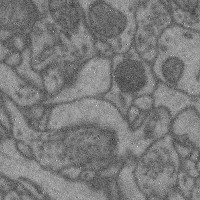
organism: Mouse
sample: Cerebral cortex